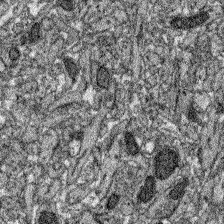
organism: Zebrafish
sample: Larval olfactory bulb